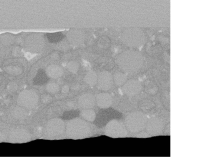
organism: C. elegans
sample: C. elegans oocyte; sperm cells